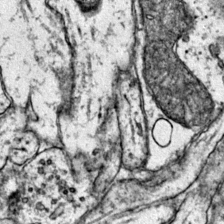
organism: Mouse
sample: Primary visual cortex